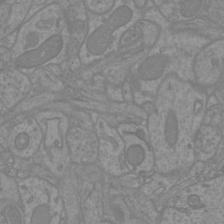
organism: Mouse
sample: Cortical neurons